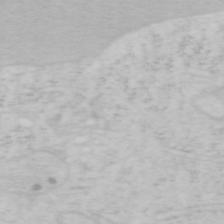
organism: Mouse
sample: OT-I killer T cells with ID8 ovarian cancer cells